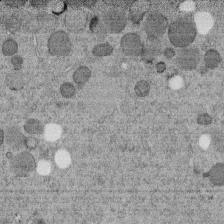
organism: C. elegans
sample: C. elegans embryo early stage